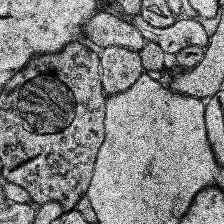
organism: Human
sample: Temporal Lobe